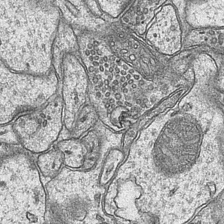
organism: Mouse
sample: CA1 Hippocampus